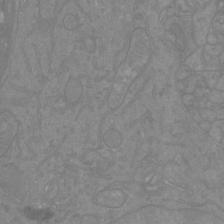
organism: Mouse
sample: Cortical neurons